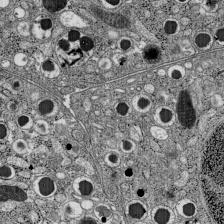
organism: C57BL Mouse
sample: Pancreatic islet